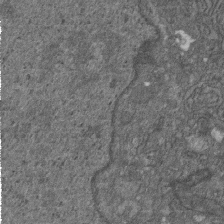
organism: Drosophila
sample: Nephrocyte